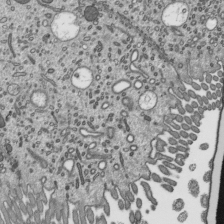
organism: Mouse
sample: Mouse epididymis efferent ductule cilia